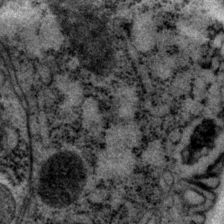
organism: P. pacificus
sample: Pharynx